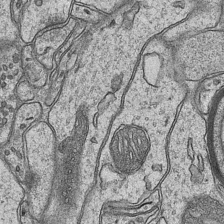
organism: Mouse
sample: CA1 Hippocampus